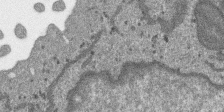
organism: Human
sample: Lung epithelial cells infected with SARS-CoV-2